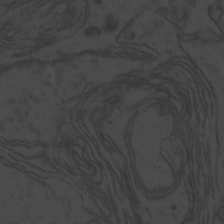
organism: Zebrafish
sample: Macrophage infected with Toxoplasma gondii